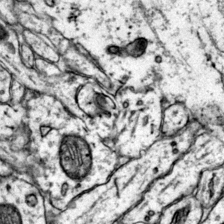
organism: Mouse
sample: Primary visual cortex